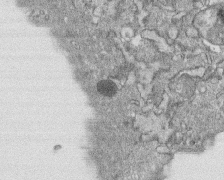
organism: Human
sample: CRL-1474